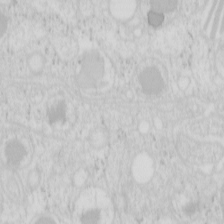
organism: Mouse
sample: Pancreas